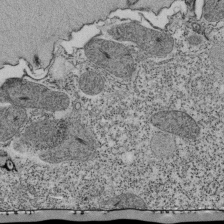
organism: Tetrahymena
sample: Cilia in tetrahymena